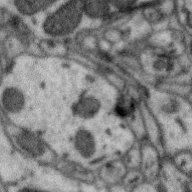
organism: Zebra finch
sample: Brain